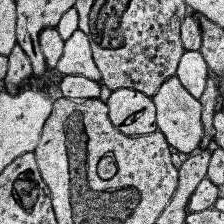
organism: Human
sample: Temporal Lobe